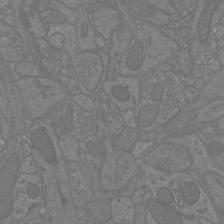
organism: Mouse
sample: Cortical neurons